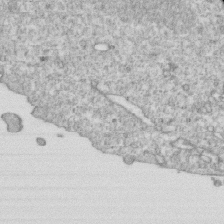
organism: Mouse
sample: Activated OT-1 CD8+ T cells